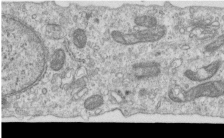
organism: Human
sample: Centriole in RPE cells